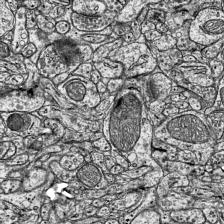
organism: Mouse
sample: Visual Cortex